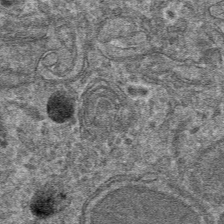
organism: Mouse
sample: Mouse hepatocytes